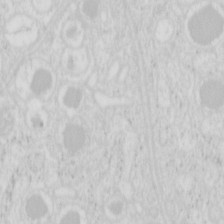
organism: Mouse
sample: Pancreas